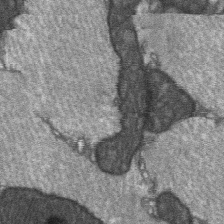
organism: C57BL Mouse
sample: Soleus